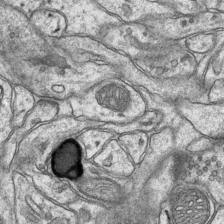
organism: Mouse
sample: CA1 Hippocampus